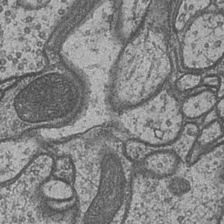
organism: Drosophila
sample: Optic medulla